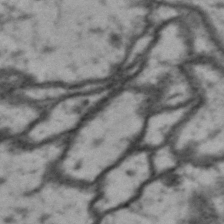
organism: Drosophila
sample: Brain